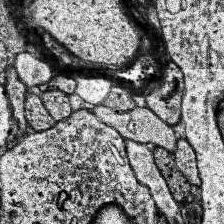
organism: Human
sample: Temporal Lobe